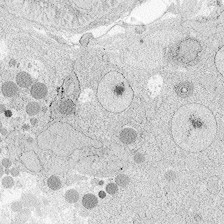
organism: Zebrafish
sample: Whole-Brain